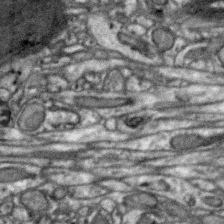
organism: Zebra finch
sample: Brain